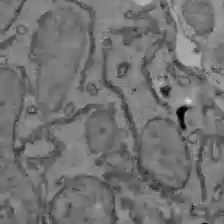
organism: C57BL Mouse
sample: Liver